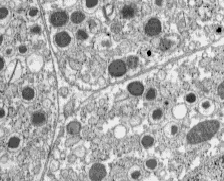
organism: C57BL Mouse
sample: Pancreatic islet